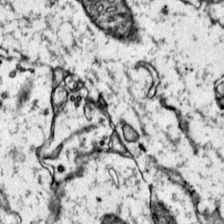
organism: Mouse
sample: Primary visual cortex